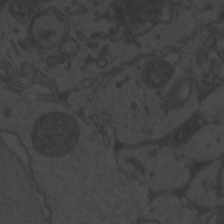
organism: Zebrafish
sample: Macrophage infected with Toxoplasma gondii